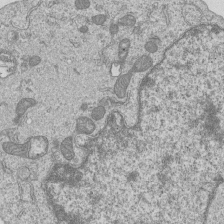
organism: Human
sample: MDA-MB-231 cells